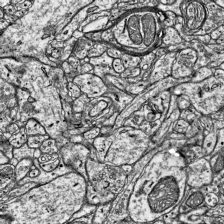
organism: Mouse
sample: Visual Cortex